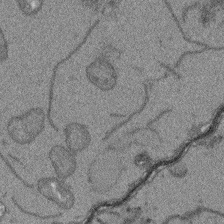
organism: Arabidopsis thaliana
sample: Root tip